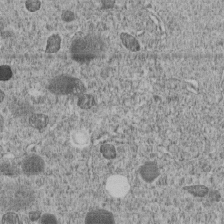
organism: C. elegans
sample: C. elegans embryo early stage